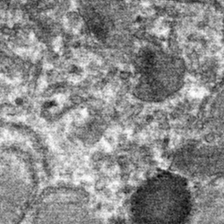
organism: Mouse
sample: Mouse hepatocytes